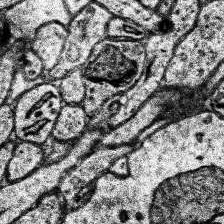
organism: Human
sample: Temporal Lobe